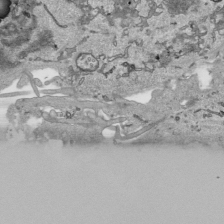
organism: Human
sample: Mitochondria in HCT116 cells